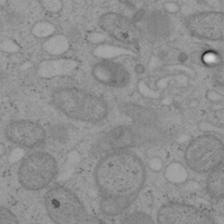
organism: Mouse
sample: OT-I killer T cells with ID8 ovarian cancer cells